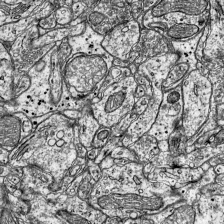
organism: Mouse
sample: Visual Cortex